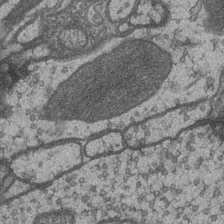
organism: Drosophila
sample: Optic medulla